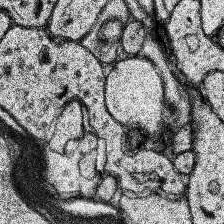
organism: Human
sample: Temporal Lobe